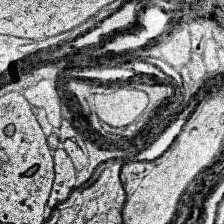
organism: Human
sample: Temporal Lobe